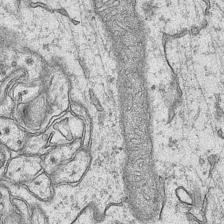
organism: Mouse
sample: CA1 Hippocampus